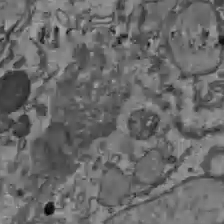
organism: C57BL Mouse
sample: Liver